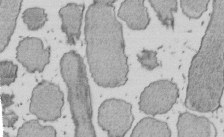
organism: E. coli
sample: Bacterial nucleoid